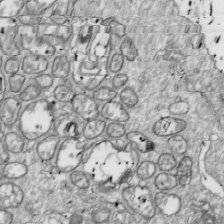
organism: Drosophila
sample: Cell division; meiosis; drosophila spermatocytes